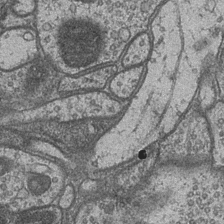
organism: Drosophila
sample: Optic medulla